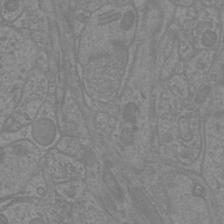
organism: Mouse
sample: Cortical neurons